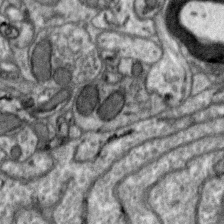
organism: Zebra finch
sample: Brain